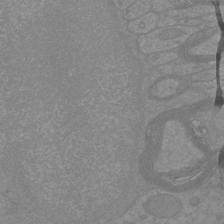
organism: Mouse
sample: Cortical neurons